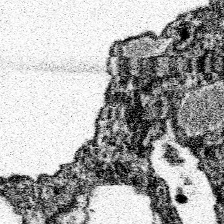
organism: Spongilla lacustris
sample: Neuroid cell